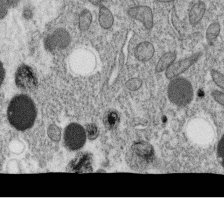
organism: C. elegans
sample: C. elegans oocyte; sperm cells